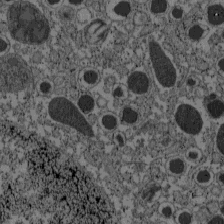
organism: C57BL Mouse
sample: Pancreatic islet